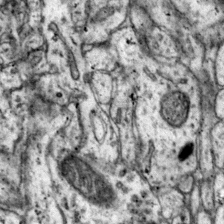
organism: Mouse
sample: Primary visual cortex